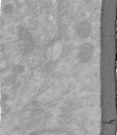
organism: Human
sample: Centriole in RPE cells